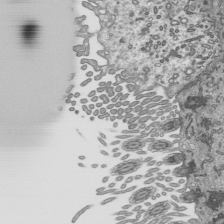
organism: Mouse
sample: Mouse epididymis efferent ductule cilia